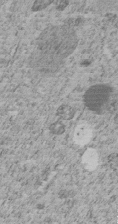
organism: C. elegans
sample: C. elegans embryo early stage